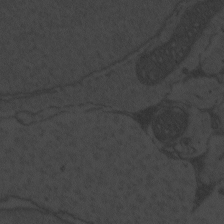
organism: Zebrafish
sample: Macrophage infected with Toxoplasma gondii